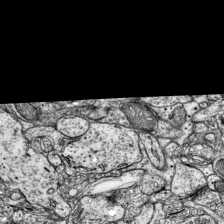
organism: Mouse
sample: Visual Cortex